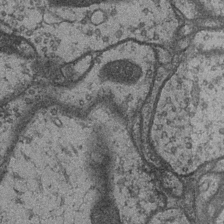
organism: Drosophila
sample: Optic medulla